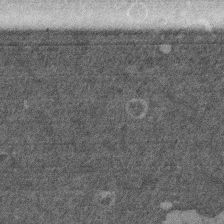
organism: Mouse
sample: Dividing mouse embryo 1 cell stage